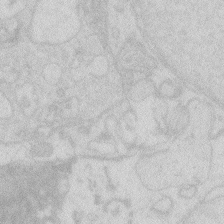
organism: Zebrafish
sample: Macrophage